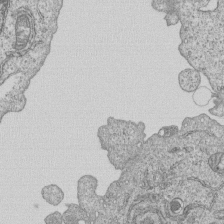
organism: Human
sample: MDA-MB-231 cells